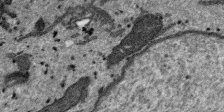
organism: Human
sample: Lung epithelial cells, uninfected (mock) control